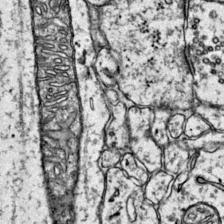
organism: Mouse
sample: Primary visual cortex